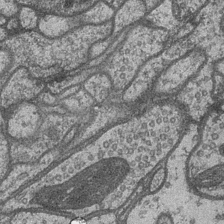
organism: Drosophila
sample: Optic medulla